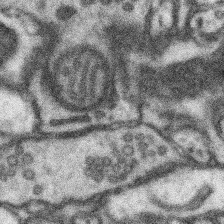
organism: Mouse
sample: Somatosensory cortex neuropil